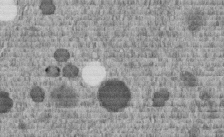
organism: C. elegans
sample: C. elegans embryo early stage